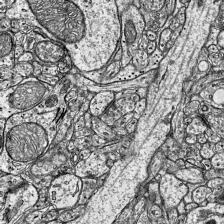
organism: Mouse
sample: Visual Cortex